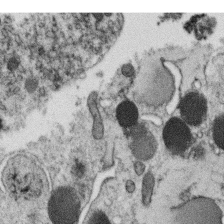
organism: C. elegans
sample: C. elegans oocyte; sperm cells